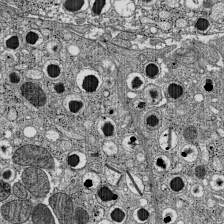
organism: C57BL Mouse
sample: Pancreatic islet